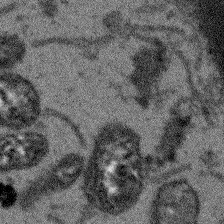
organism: Arabidopsis thaliana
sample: Root tip